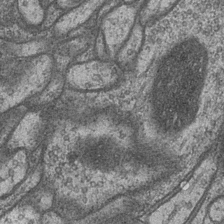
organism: Drosophila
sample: Optic medulla